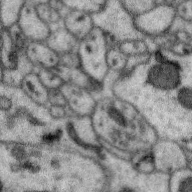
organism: Zebra finch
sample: Brain